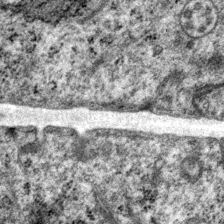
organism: P. pacificus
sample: Pharynx